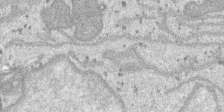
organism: Human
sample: Lung epithelial cells infected with SARS-CoV-2